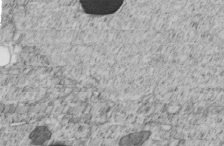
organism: C. elegans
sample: C. elegans embryo early stage